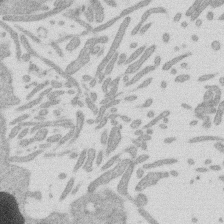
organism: Mouse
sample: Dividing mouse embryo 1 cell stage